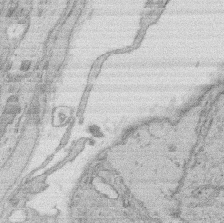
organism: Rat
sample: Salivary granule